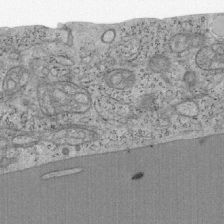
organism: Human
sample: HeLa cells